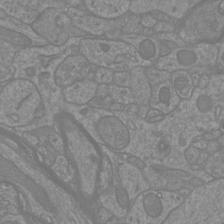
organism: Mouse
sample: Cortical neurons